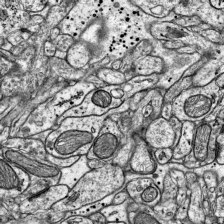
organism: Mouse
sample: Visual Cortex